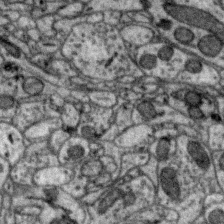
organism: Zebra finch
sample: Brain